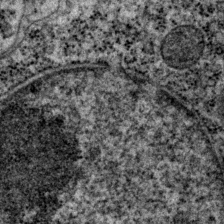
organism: P. pacificus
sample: Pharynx